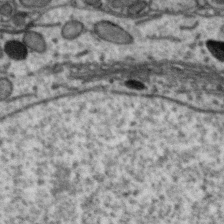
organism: Zebra finch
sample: Brain